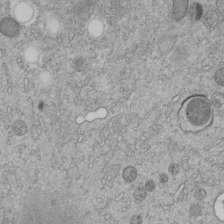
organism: C. elegans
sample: C. elegans embryo early stage